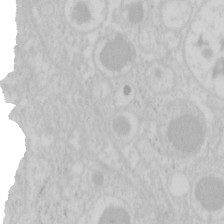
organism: Mouse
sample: Pancreas